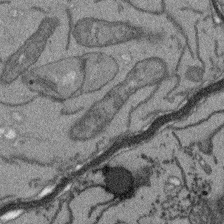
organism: Arabidopsis thaliana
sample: Root tip